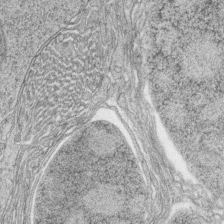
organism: Zebrafish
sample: synaptic ribbons in rod cells and cone cells